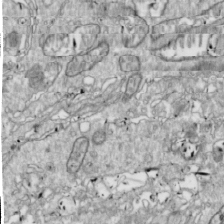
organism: Drosophila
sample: Cell division; meiosis; drosophila spermatocytes